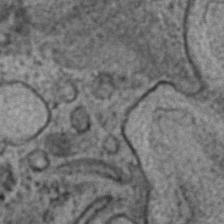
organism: C. elegans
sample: C. elegans embryo